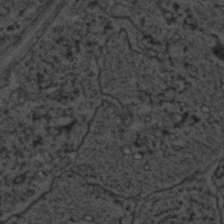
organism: C. elegans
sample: C. elegans embryo